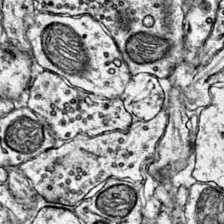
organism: Mouse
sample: Primary visual cortex